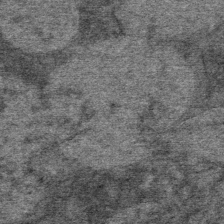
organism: Mouse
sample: Mouse Salivary gland